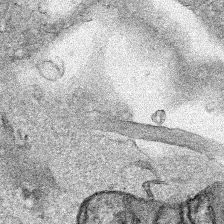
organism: Human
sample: Mitochondria in HCT116 cells